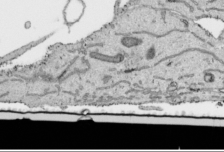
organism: Human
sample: Mitochondria in HCT116 cells